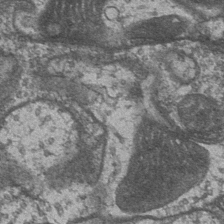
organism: Drosophila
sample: Optic medulla